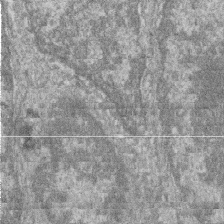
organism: Zebrafish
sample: Cilia; retinal pigment epithelium